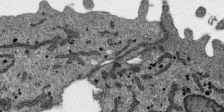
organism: Human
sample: Lung epithelial cells, uninfected (mock) control